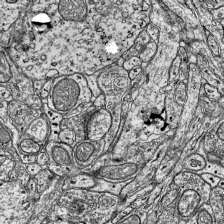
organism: Mouse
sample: Visual Cortex